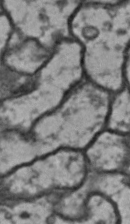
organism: Drosophila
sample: Brain